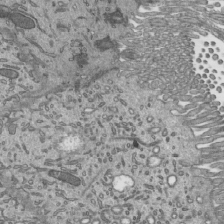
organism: Mouse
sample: Mouse epididymis efferent ductule cilia